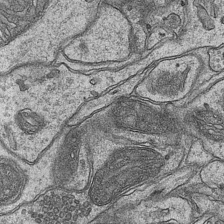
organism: Mouse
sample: CA1 Hippocampus